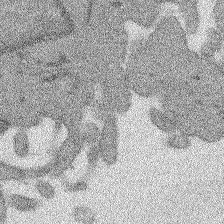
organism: Human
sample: HeLa cells